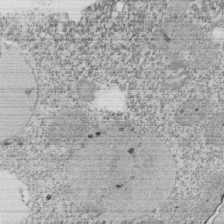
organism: Tetrahymena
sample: Cilia in tetrahymena